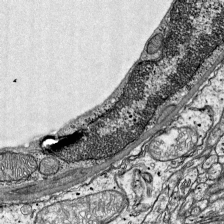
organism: Mouse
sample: Visual Cortex